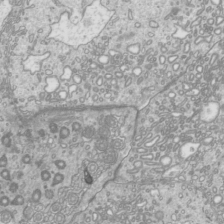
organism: Mouse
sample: Cilia; mouse epididymis